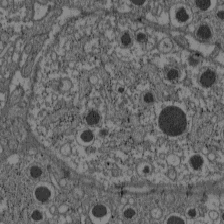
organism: C57BL Mouse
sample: Pancreatic islet